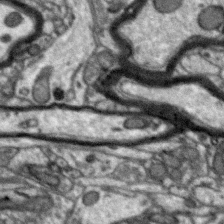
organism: Zebra finch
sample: Brain